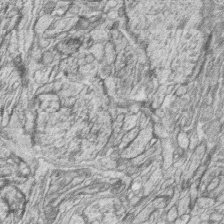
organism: Zebrafish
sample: synaptic ribbons in rod cells and cone cells